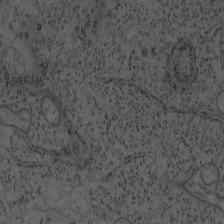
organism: Mouse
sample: OT-I killer T cells with ID8 ovarian cancer cells